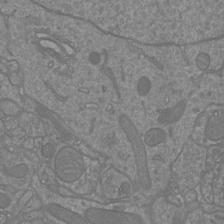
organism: Mouse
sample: Cortical neurons